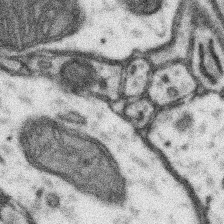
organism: Mouse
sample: Somatosensory cortex neuropil